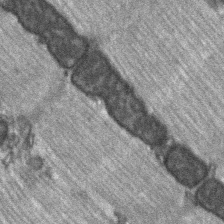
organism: C57BL Mouse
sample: Soleus